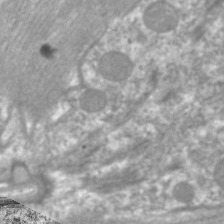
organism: C. elegans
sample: Pharynx